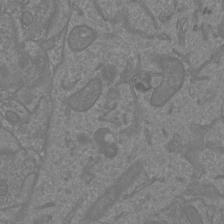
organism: Mouse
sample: Cortical neurons